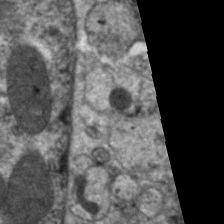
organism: C. elegans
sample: Pharynx